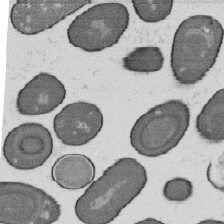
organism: B. subtilis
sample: Bacterial spore